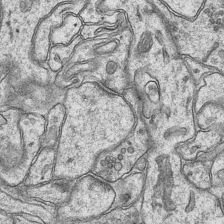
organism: Mouse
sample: CA1 Hippocampus